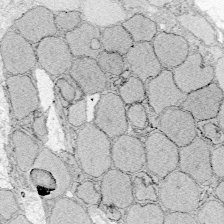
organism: Zebrafish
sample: Whole-Brain